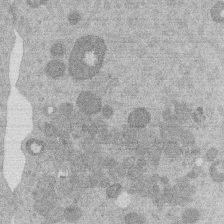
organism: Mouse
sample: Dividing mouse embryo 1 cell stage